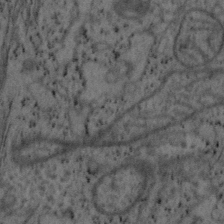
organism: Human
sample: HeLa cells